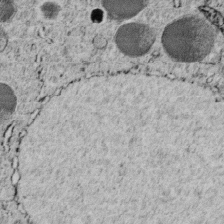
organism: C. elegans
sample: C. elegans embryo early stage